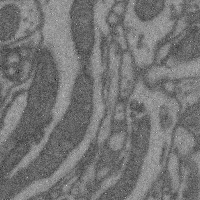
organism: Mouse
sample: Cerebral cortex